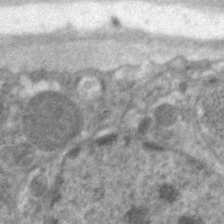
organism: C. elegans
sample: Pharynx